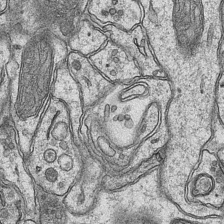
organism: Mouse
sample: CA1 Hippocampus